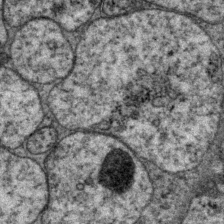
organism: P. pacificus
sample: Pharynx